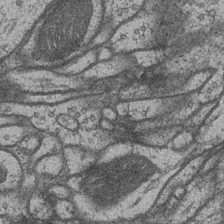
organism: Drosophila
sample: Optic medulla